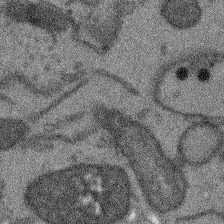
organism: Arabidopsis thaliana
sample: Root tip